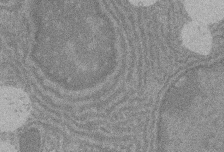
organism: Rat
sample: Salivary granule